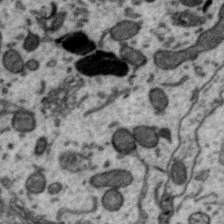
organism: Zebra finch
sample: Brain